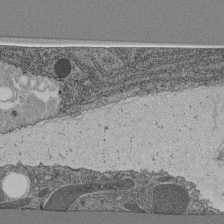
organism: C. elegans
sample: C. elegans pharynx